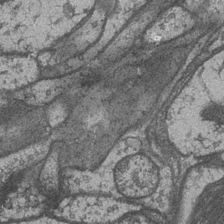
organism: Drosophila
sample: Optic medulla